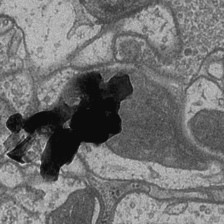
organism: Drosophila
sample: Optic medulla